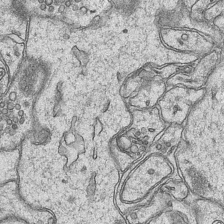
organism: Mouse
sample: CA1 Hippocampus